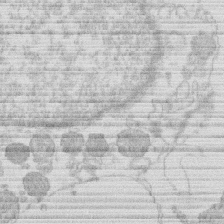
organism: Human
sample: Macrophage cells